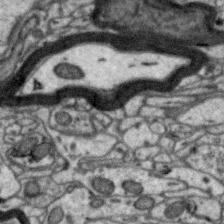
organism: Zebra finch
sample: Brain